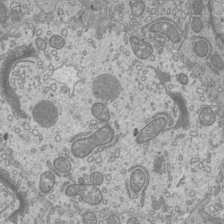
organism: Mouse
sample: Cilia; mouse epididymis